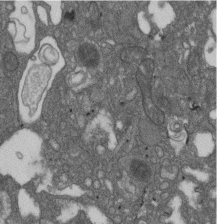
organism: Drosophila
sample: Nephrocyte